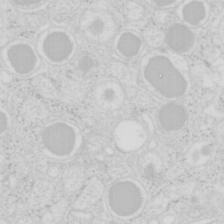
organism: Mouse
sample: Pancreas